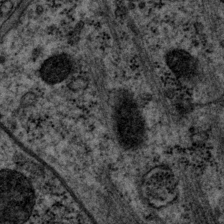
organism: P. pacificus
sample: Pharynx